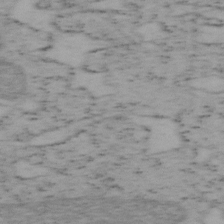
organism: Mouse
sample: OT-I killer T cells with ID8 ovarian cancer cells